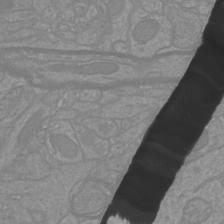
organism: Mouse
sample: Cortical neurons